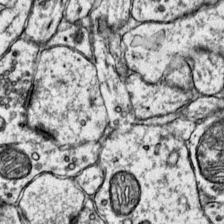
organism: Mouse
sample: Primary visual cortex